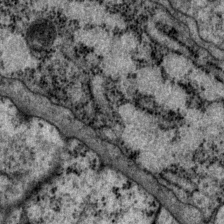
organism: P. pacificus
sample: Pharynx